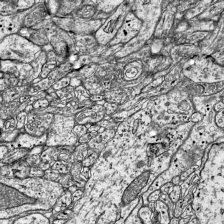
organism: Mouse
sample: Visual Cortex